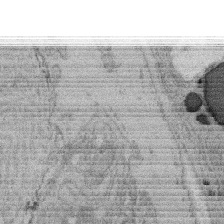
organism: Rat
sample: Salivary granule